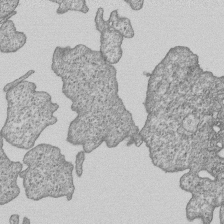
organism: Human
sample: MDA-MB-231 cells